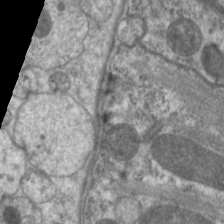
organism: C. elegans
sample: Pharynx